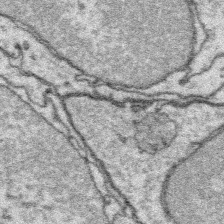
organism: Platynereis dumerilii